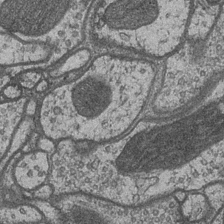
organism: Drosophila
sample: Optic medulla